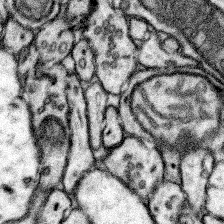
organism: Mouse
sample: Somatosensory cortex neuropil